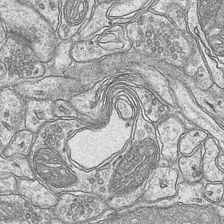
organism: Mouse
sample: CA1 Hippocampus